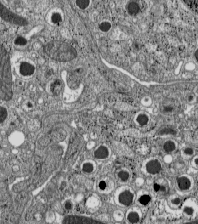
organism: C57BL Mouse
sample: Pancreatic islet